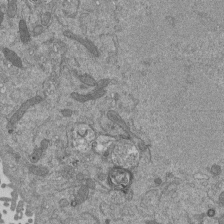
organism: Mouse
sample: ED-1 cell nuclei; centrioles